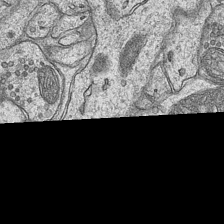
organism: Mouse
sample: CA1 Hippocampus